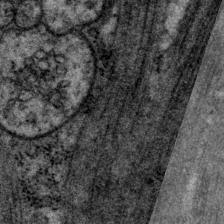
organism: P. pacificus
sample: Pharynx